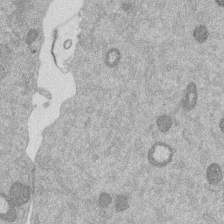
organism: Mouse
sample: Dividing mouse embryo 1 cell stage